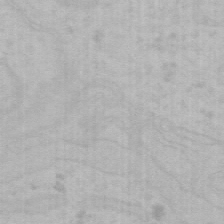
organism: Mouse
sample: Choroid plexus